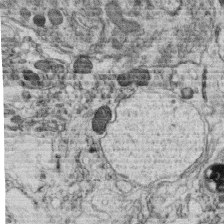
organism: C. elegans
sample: C. elegans oocyte; sperm cells